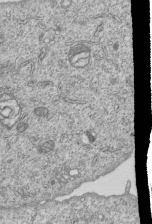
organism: Human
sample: MDA-MB-231 cells